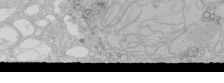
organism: Human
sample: Caco-2 cells